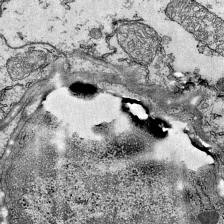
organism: Mouse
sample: Visual Cortex